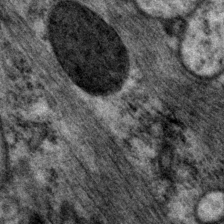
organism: P. pacificus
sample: Pharynx